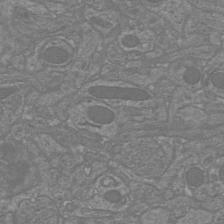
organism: Mouse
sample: Cortical neurons